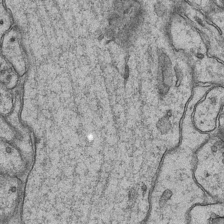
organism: Mouse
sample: CA1 Hippocampus